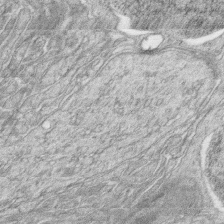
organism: Zebrafish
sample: synaptic ribbons in rod cells and cone cells